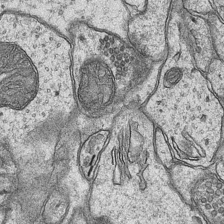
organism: Mouse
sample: CA1 Hippocampus